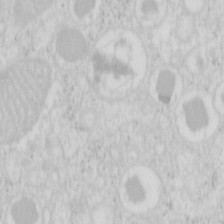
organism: Mouse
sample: Pancreas